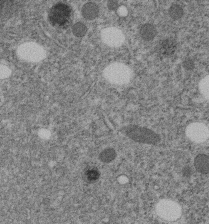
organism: C. elegans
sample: C. elegans embryo early stage